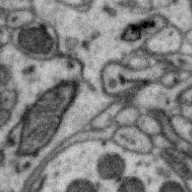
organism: Zebra finch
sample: Brain